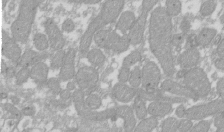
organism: Xenopus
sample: Cilia; centrioles in frog embryo cells